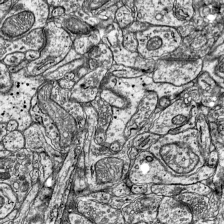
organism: Mouse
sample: Visual Cortex